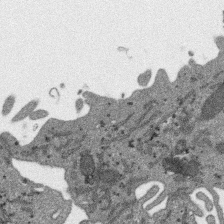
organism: Human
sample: Lung epithelial cells infected with SARS-CoV-2